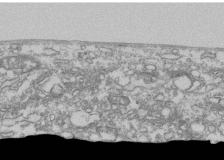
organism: Human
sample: Fibroblast cells